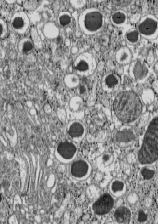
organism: C57BL Mouse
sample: Pancreatic islet